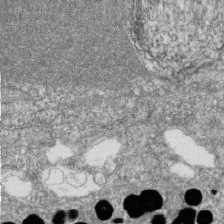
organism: Zebrafish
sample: Cilia; retinal pigment epithelium